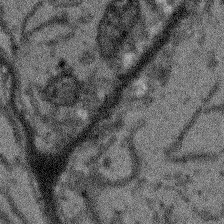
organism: Arabidopsis thaliana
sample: Root tip